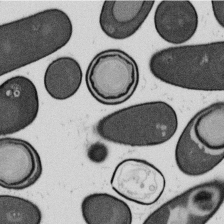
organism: B. subtilis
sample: Bacterial spore